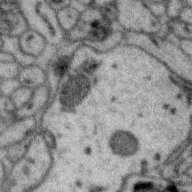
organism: Zebra finch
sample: Brain